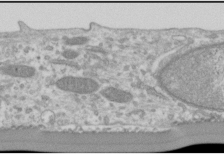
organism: Human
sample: Cilia; basal body in RPE cells